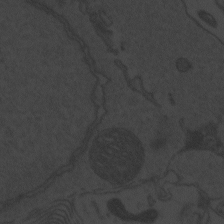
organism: Zebrafish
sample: Macrophage infected with Toxoplasma gondii